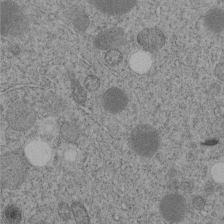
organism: C. elegans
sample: C. elegans embryo early stage